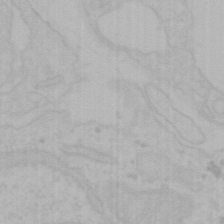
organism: Mouse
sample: Choroid plexus